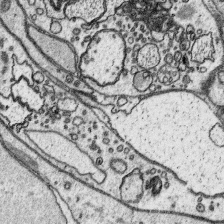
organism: Platynereis dumerilii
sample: Parapodia